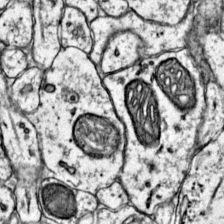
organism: Mouse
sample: Primary visual cortex